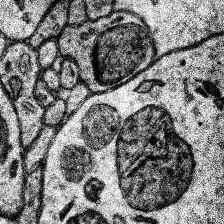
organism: Human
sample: Temporal Lobe